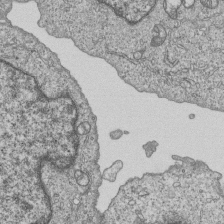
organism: Human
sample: MDA-MB-231 cells